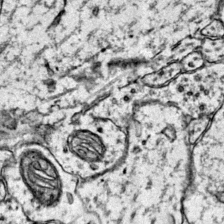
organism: Mouse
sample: Primary visual cortex